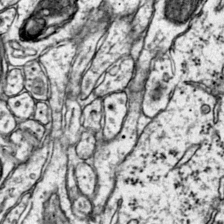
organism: Mouse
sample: Primary visual cortex